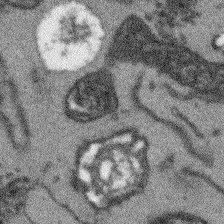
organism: Arabidopsis thaliana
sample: Root tip